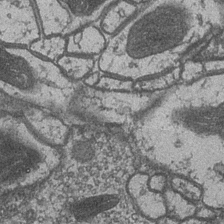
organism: Drosophila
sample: Optic medulla